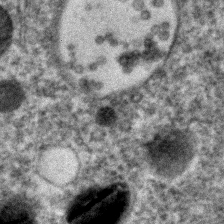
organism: C. elegans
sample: C. elegans embryo